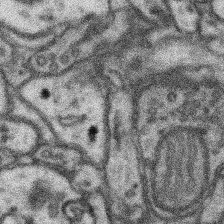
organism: Mouse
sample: Somatosensory cortex neuropil